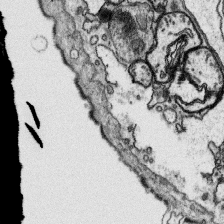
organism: Platynereis dumerilii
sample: Parapodia